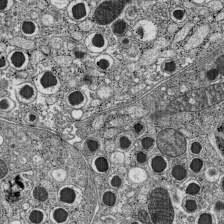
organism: C57BL Mouse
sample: Pancreatic islet